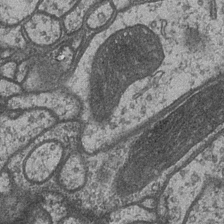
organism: Drosophila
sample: Optic medulla